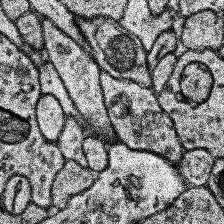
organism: Human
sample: Temporal Lobe